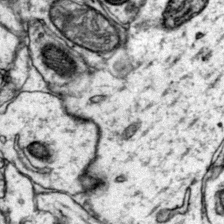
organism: Mouse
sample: Primary visual cortex